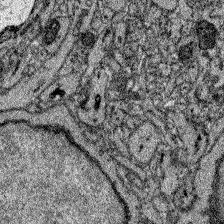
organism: Zebrafish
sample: Larval olfactory bulb